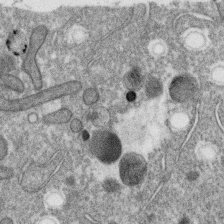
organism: C. elegans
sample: C. elegans oocyte; sperm cells